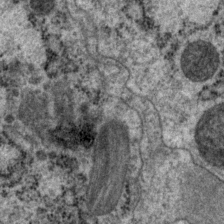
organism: P. pacificus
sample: Pharynx